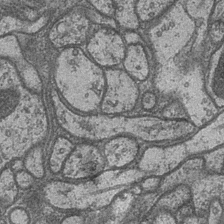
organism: Drosophila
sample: Optic medulla